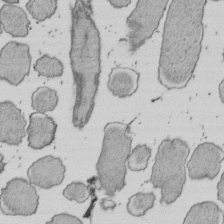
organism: E. coli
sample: Bacterial nucleoid